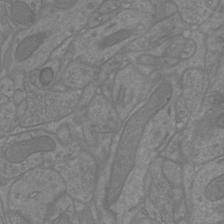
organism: Mouse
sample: Cortical neurons